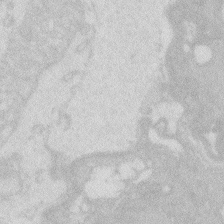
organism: Zebrafish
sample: Macrophage